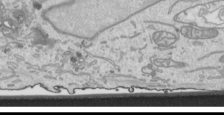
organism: Human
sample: Mitochondria in HCT116 cells